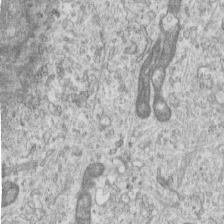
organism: Human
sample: Centriole in RPE cells